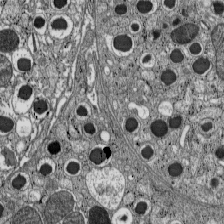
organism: C57BL Mouse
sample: Pancreatic islet